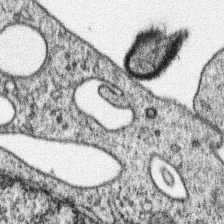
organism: Human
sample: HeLa cells